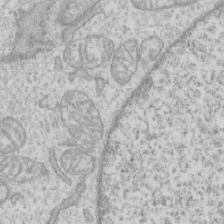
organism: Human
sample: CRL-1474